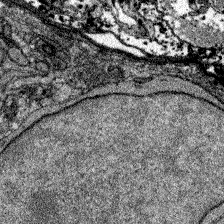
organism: Zebrafish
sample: Larval olfactory bulb